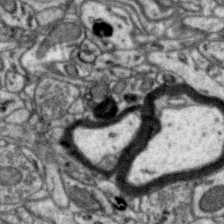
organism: Zebra finch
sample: Brain